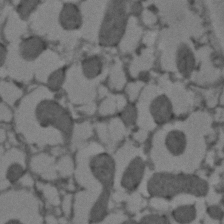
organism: C. elegans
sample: C. elegans embryo